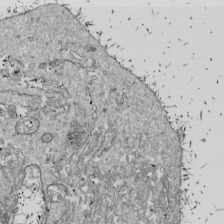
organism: Drosophila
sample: Cell division; meiosis; drosophila spermatocytes